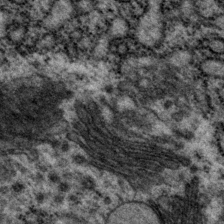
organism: P. pacificus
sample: Pharynx